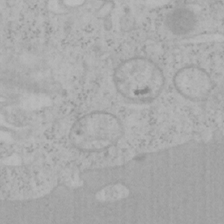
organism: Mouse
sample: OT-I killer T cells with ID8 ovarian cancer cells